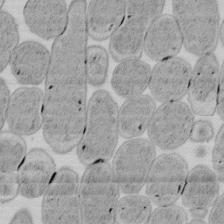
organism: E. coli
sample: Bacterial nucleoid